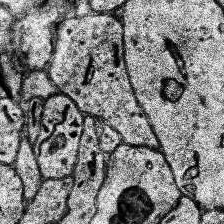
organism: Human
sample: Temporal Lobe